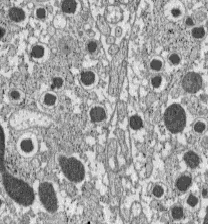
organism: C57BL Mouse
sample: Pancreatic islet